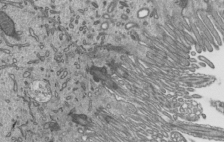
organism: Mouse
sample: Mouse epididymis efferent ductule cilia